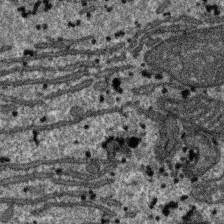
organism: Human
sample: Lung epithelial cells infected with SARS-CoV-2